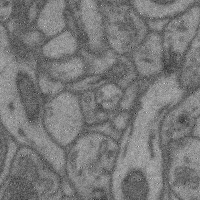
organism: Mouse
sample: Cerebral cortex